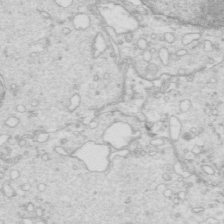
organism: Mouse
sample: Multiciliated cells